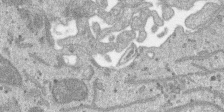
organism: Human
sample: Lung epithelial cells infected with SARS-CoV-2